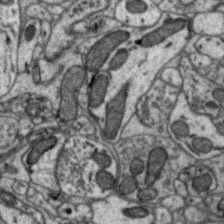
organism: Zebra finch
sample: Brain